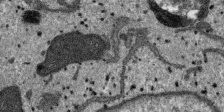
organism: Human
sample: Lung epithelial cells, uninfected (mock) control